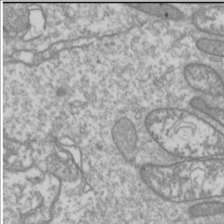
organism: Drosophila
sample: Cell division; meiosis; drosophila spermatocytes